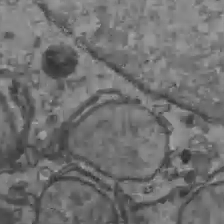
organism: C57BL Mouse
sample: Liver